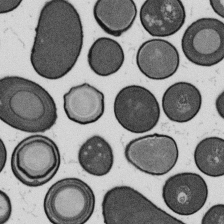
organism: B. subtilis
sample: Bacterial spore